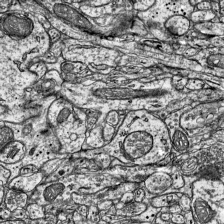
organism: Mouse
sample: Visual Cortex